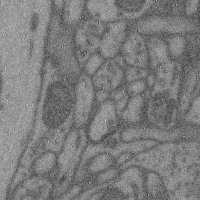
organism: Mouse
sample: Cerebral cortex